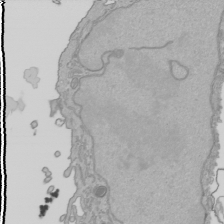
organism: Human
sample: Mitochondria in HCT116 cells